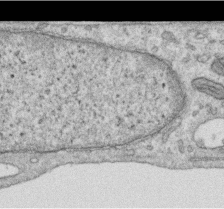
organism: Human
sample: Centriole in RPE cells